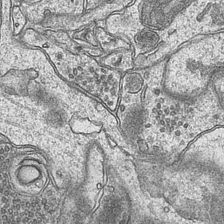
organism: Mouse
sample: CA1 Hippocampus